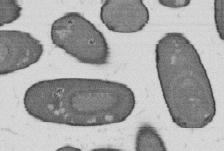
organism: B. subtilis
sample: Bacterial spore